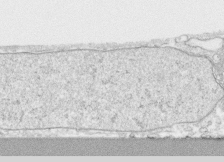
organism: Human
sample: CRL-1474